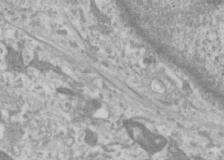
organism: Human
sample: Cilia; basal body in RPE cells